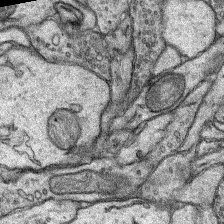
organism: Rat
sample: Hippocampus